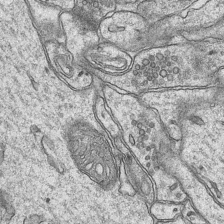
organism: Mouse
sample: CA1 Hippocampus